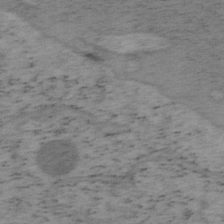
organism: Mouse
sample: OT-I killer T cells with ID8 ovarian cancer cells